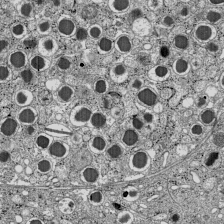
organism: C57BL Mouse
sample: Pancreatic islet